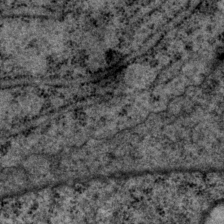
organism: P. pacificus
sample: Pharynx